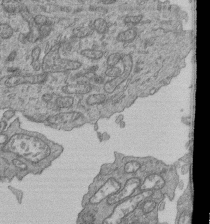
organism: Human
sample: Retinal organoid Rod and Cone cells